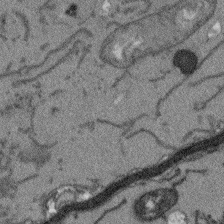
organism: Arabidopsis thaliana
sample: Root tip